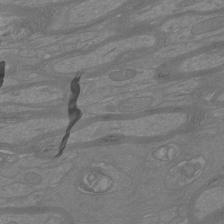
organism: Mouse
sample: Cortical neurons